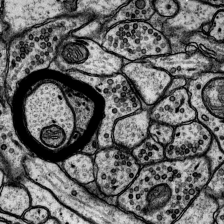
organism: Rat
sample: Hippocampus